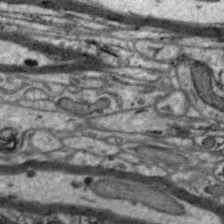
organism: Zebra finch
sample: Brain